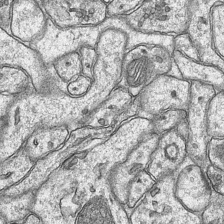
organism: Mouse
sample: CA1 Hippocampus